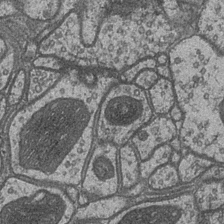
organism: Drosophila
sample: Optic medulla